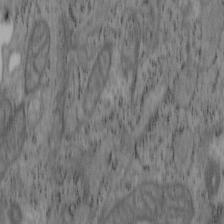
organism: Human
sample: HeLa cells